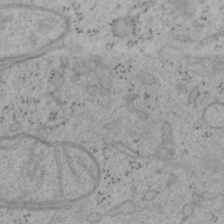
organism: Human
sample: HeLa cells